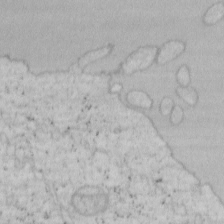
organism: Human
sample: HeLa cells